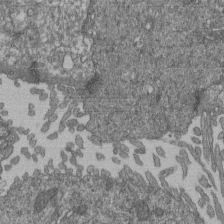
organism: Human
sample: Retinal organoid Rod and Cone cells